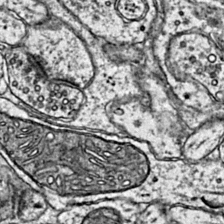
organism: Mouse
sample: Primary visual cortex